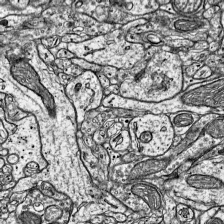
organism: Mouse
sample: Visual Cortex